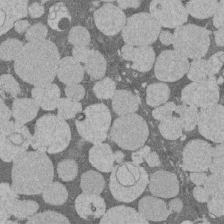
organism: Rat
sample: Salivary granule